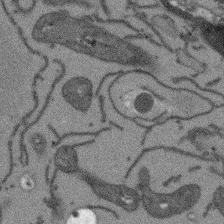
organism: Arabidopsis thaliana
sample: Root tip